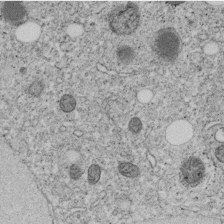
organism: C. elegans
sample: C. elegans embryo early stage